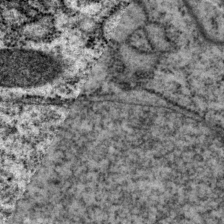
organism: P. pacificus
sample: Pharynx